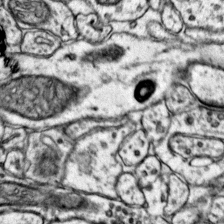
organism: Mouse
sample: Primary visual cortex